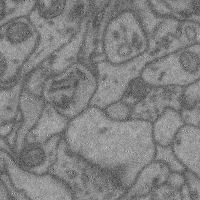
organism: Mouse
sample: Cerebral cortex